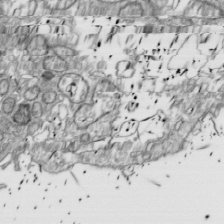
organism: Drosophila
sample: Cell division; meiosis; drosophila spermatocytes